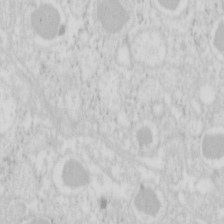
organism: Mouse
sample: Pancreas